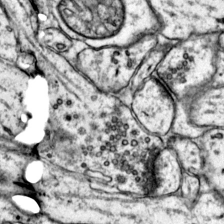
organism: Mouse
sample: Primary visual cortex